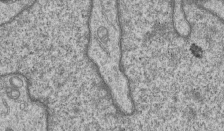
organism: Human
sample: MDA-MB-231 cells